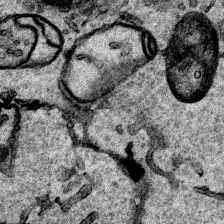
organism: Human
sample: Mitochondria in HCT116 cells